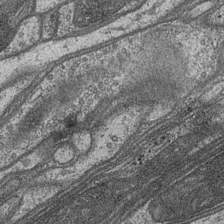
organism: Drosophila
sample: Optic medulla